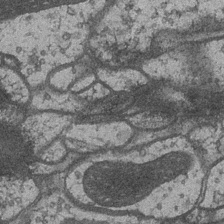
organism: Drosophila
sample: Optic medulla